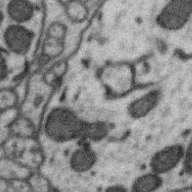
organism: Zebra finch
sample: Brain